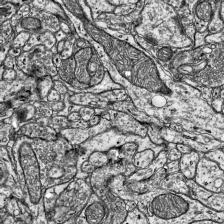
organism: Mouse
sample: Visual Cortex